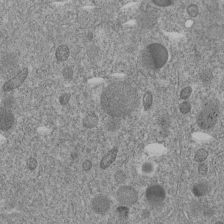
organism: C. elegans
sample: C. elegans embryo early stage